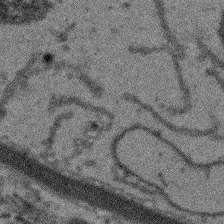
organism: Arabidopsis thaliana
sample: Root tip